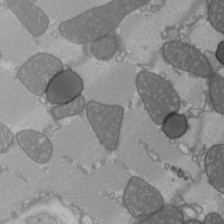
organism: C57BL Mouse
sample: Heart